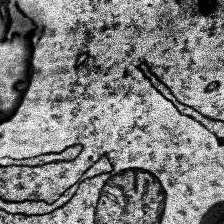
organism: Human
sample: Temporal Lobe